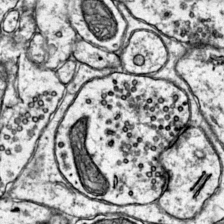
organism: Mouse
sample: Primary visual cortex